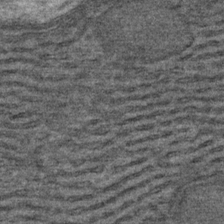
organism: Mouse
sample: Mouse Salivary gland